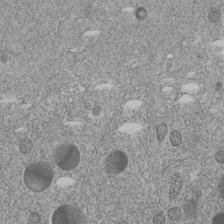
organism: C. elegans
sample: C. elegans embryo early stage